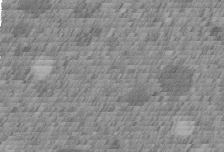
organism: C. elegans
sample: C. elegans embryo early stage